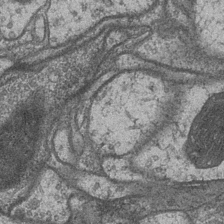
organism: Drosophila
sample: Optic medulla